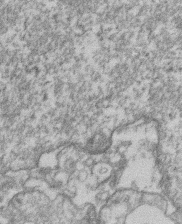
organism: Mouse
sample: T cell stromal cell synapse